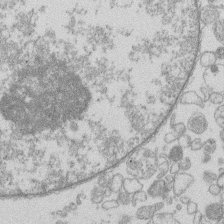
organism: Human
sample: Macrophage cells